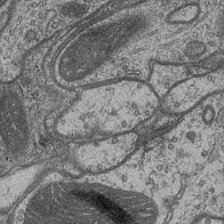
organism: Drosophila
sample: Optic medulla